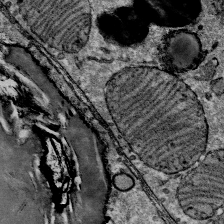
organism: Mouse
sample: Mouse Salivary gland